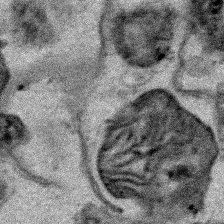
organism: Human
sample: Mitochondria in HCT116 cells